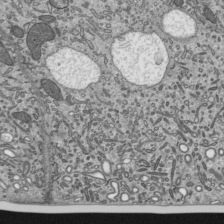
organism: Mouse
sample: Mouse epididymis efferent ductule cilia